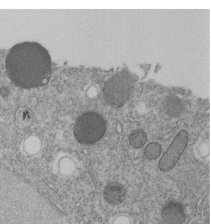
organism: C. elegans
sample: C. elegans embryo early stage